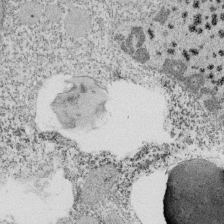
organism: Tetrahymena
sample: Cilia in tetrahymena